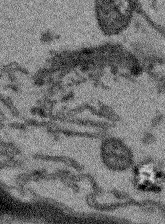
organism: Arabidopsis thaliana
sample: Root tip